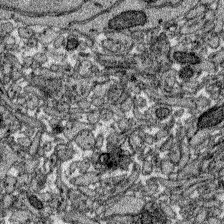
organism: Zebrafish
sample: Larval olfactory bulb